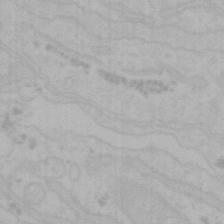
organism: Mouse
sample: Choroid plexus